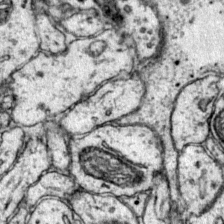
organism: Mouse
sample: Primary visual cortex